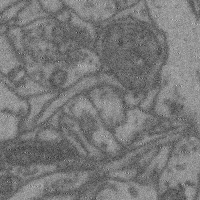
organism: Mouse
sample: Cerebral cortex